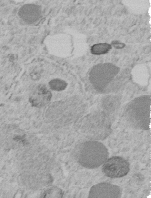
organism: C. elegans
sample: C. elegans embryo early stage